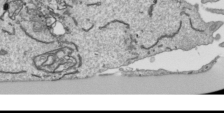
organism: Human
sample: Mitochondria in HCT116 cells